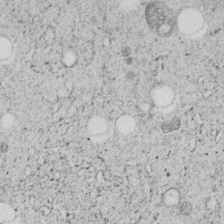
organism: C. elegans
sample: C. elegans embryo early stage